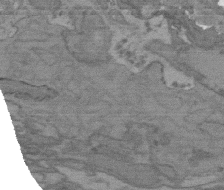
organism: C. elegans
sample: AFD neurons C. elegans